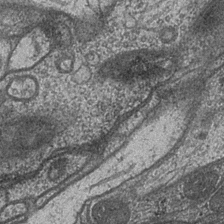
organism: Drosophila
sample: Optic medulla